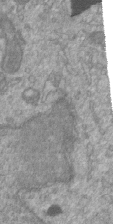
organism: Mouse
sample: ED-1 cell nuclei; centrioles